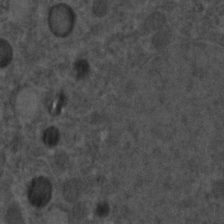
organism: C. elegans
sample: C. elegans embryo